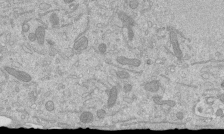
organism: Mouse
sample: ED-1 cell nuclei; centrioles